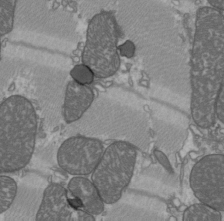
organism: C57BL Mouse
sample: Heart